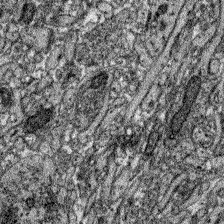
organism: Zebrafish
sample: Larval olfactory bulb